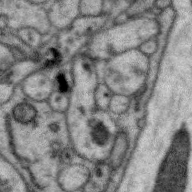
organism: Zebra finch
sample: Brain